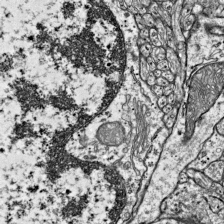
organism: Mouse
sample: Visual Cortex